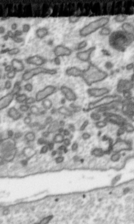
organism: Toxoplasma gondii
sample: Parasites in a vacuole inside a host cell